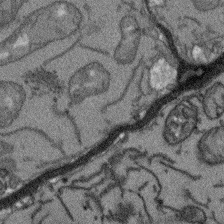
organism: Arabidopsis thaliana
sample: Root tip